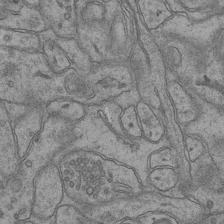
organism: Mouse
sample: CA1 Hippocampus